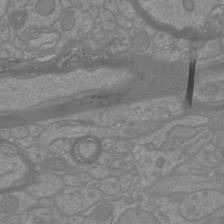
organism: Mouse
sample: Cortical neurons